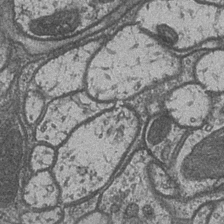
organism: Drosophila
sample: Optic medulla